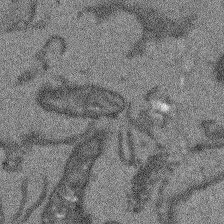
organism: Arabidopsis thaliana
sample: Root tip